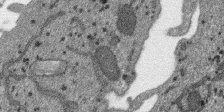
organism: Human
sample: Lung epithelial cells infected with SARS-CoV-2